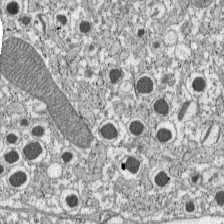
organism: C57BL Mouse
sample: Pancreatic islet